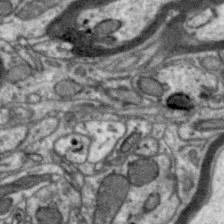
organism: Zebra finch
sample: Brain